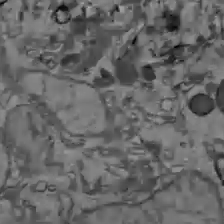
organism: C57BL Mouse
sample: Liver